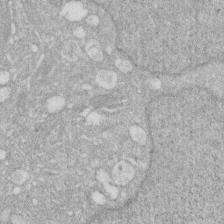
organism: Human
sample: HIV infected U937 cells